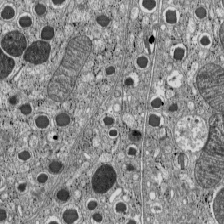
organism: C57BL Mouse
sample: Pancreatic islet